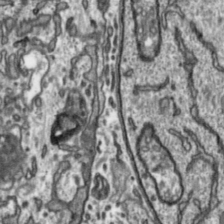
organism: Toxoplasma gondii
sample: Parasites in a vacuole inside a host cell